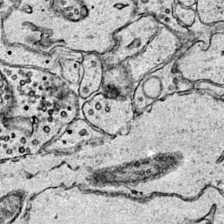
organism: Mouse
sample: Primary visual cortex